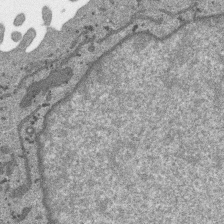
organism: Human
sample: Lung epithelial cells infected with SARS-CoV-2